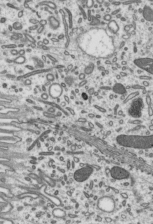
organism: Mouse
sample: Mouse epididymis efferent ductule cilia